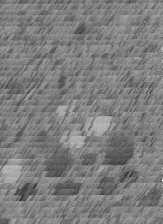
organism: C. elegans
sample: C. elegans embryo early stage